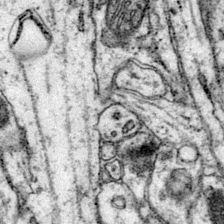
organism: Mouse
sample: Primary visual cortex